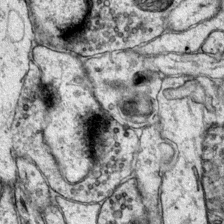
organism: Mouse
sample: Primary visual cortex